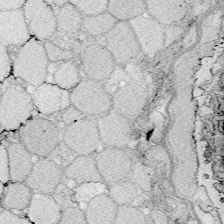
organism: Zebrafish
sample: Whole-Brain